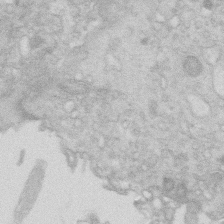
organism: Mouse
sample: Multiciliated cells